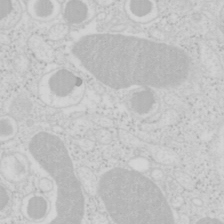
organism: Mouse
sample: Pancreas